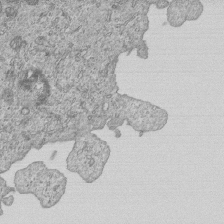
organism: Human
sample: MDA-MB-231 cells